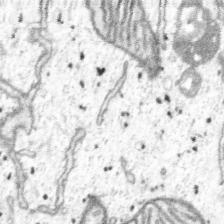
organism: Human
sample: HeLa cells